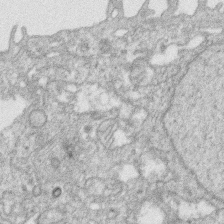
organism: Human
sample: HeLa cell HIV synapse